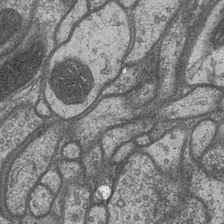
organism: Drosophila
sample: Optic medulla